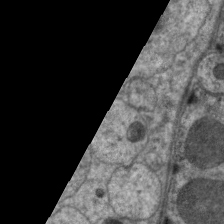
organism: C. elegans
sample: Pharynx